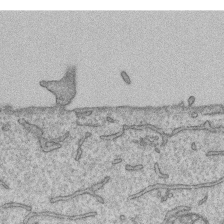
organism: Human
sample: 1205lu cells